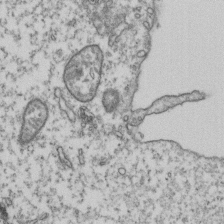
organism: Human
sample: Activated Jurkat CD4+ T cells